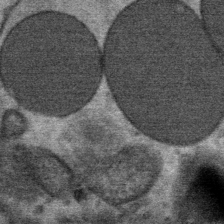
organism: Mouse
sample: Mouse Salivary gland